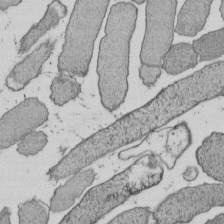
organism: E. coli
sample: Bacterial nucleoid